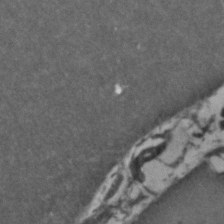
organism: Zebrafish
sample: Zebrafish embryo